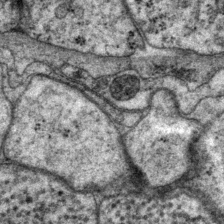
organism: P. pacificus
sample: Pharynx